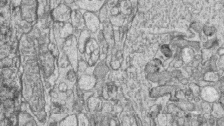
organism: Zebrafish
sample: synaptic ribbons in rod cells and cone cells